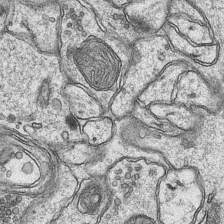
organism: Mouse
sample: CA1 Hippocampus